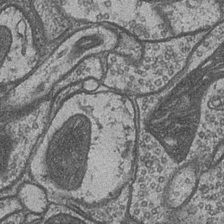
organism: Drosophila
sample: Optic medulla